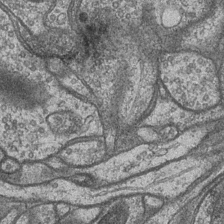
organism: Drosophila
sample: Optic medulla